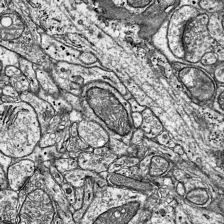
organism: Mouse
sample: Visual Cortex